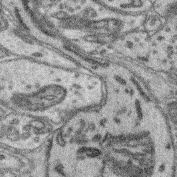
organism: Mouse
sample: Retina